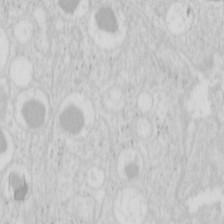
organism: Mouse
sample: Pancreas